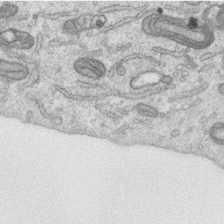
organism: Human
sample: Centriole in RPE cells